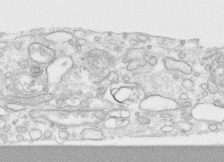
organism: Human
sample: CRL-1474